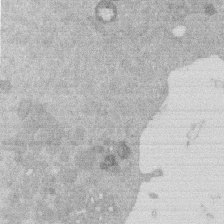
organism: Mouse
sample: Dividing mouse embryo 1 cell stage